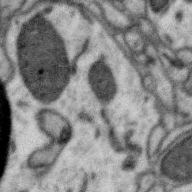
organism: Zebra finch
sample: Brain